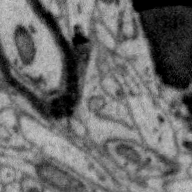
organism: Zebra finch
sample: Brain